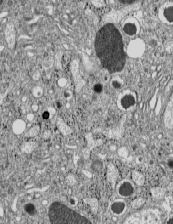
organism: C57BL Mouse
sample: Pancreatic islet